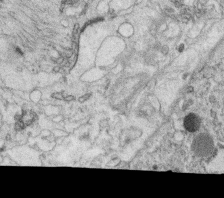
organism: C. elegans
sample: C. elegans oocyte; sperm cells